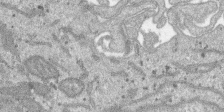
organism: Human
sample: Lung epithelial cells infected with SARS-CoV-2